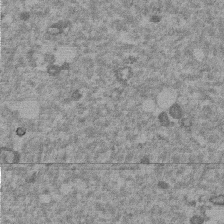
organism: Mouse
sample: Dividing mouse embryo 1 cell stage